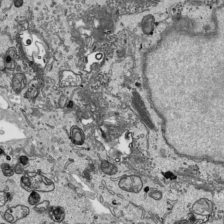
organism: Human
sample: Mitochondria in HCT116 cells